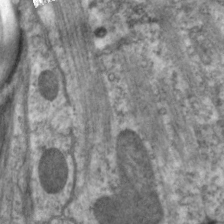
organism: C. elegans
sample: Pharynx